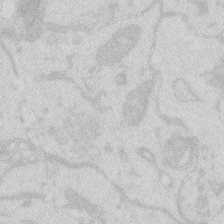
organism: Zebrafish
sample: Macrophage